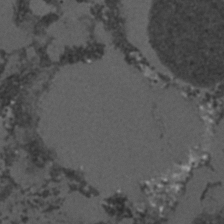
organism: C. elegans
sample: C. elegans embryo